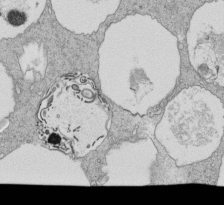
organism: Tetrahymena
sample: Cilia in tetrahymena